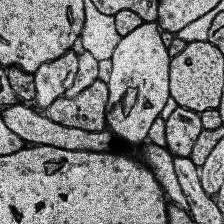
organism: Human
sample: Temporal Lobe